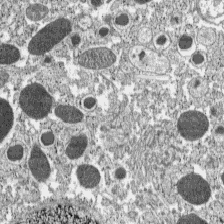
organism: C57BL Mouse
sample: Pancreatic islet